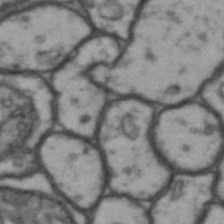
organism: Drosophila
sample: Brain